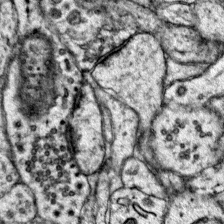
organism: Mouse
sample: Primary visual cortex